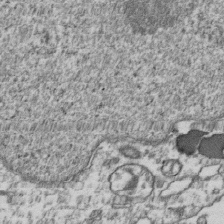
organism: Human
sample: Activated Jurkat CD4+ T cells